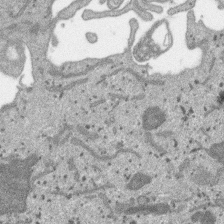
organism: Human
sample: Lung epithelial cells infected with SARS-CoV-2